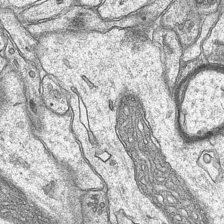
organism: Mouse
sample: CA1 Hippocampus